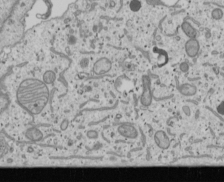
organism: Human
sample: Mitochondria in U2OS cells